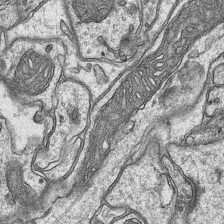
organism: Mouse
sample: CA1 Hippocampus